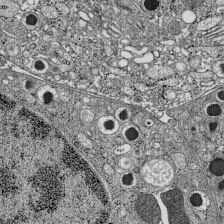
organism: C57BL Mouse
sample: Pancreatic islet